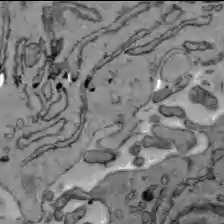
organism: C57BL Mouse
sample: Liver